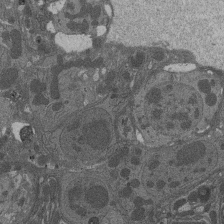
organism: Drosophila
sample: Antenna